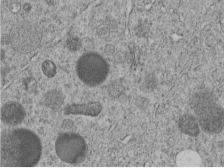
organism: C. elegans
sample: C. elegans embryo early stage